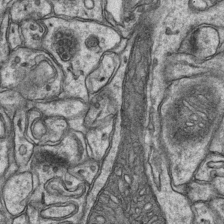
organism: Mouse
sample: CA1 Hippocampus